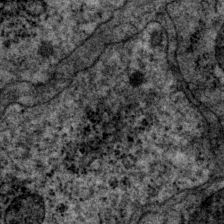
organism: P. pacificus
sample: Pharynx